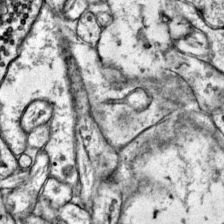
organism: Mouse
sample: Primary visual cortex